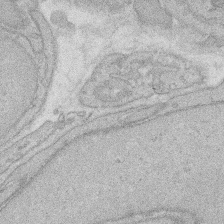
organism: Rat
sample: Salivary granule